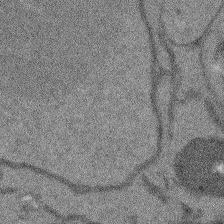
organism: Arabidopsis thaliana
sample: Root tip